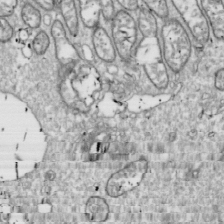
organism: Drosophila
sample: Cell division; meiosis; drosophila spermatocytes